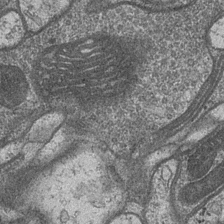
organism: Drosophila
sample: Optic medulla